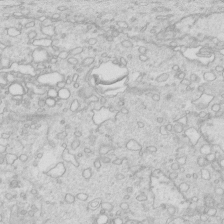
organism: Mouse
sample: Multiciliated cells